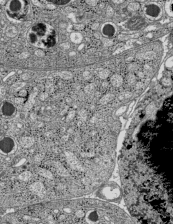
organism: C57BL Mouse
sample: Pancreatic islet